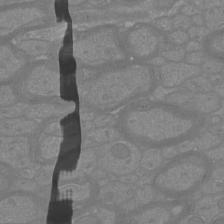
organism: Mouse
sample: Cortical neurons